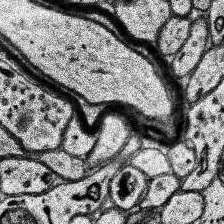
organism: Human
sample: Temporal Lobe